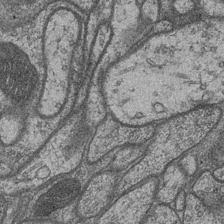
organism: Drosophila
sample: Optic medulla